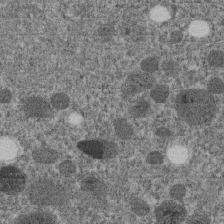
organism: C. elegans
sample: C. elegans embryo early stage